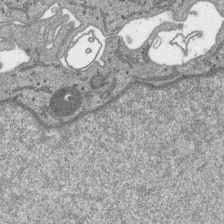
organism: Human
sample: Lung epithelial cells infected with SARS-CoV-2